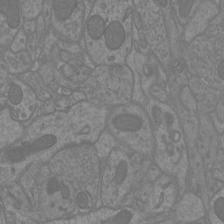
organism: Mouse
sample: Cortical neurons